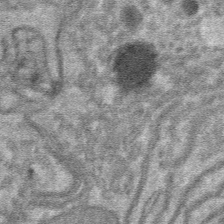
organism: Mouse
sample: Mouse hepatocytes